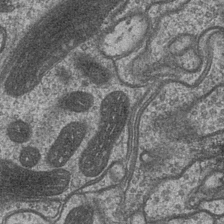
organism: Drosophila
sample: Optic medulla